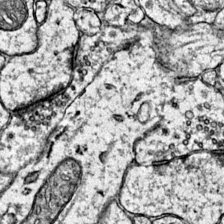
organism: Mouse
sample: Primary visual cortex